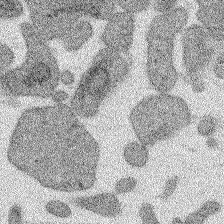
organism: Human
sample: HeLa cells